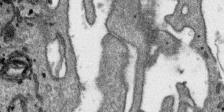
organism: Human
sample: Lung epithelial cells, uninfected (mock) control